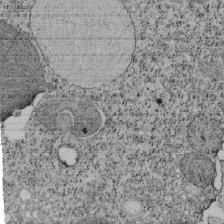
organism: Tetrahymena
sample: Cilia in tetrahymena